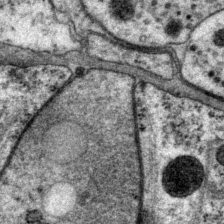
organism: P. pacificus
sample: Pharynx